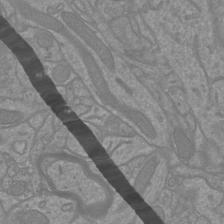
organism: Mouse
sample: Cortical neurons